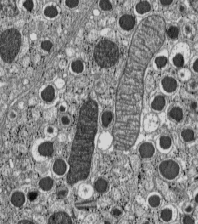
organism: C57BL Mouse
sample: Pancreatic islet